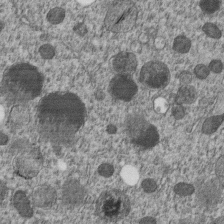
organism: C. elegans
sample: C. elegans embryo early stage